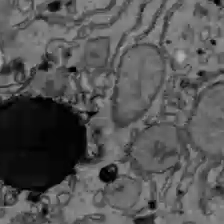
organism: C57BL Mouse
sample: Liver